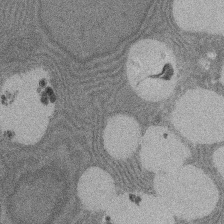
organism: Rat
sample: Salivary granule